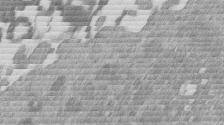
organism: Mouse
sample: Dividing mouse embryo 1 cell stage